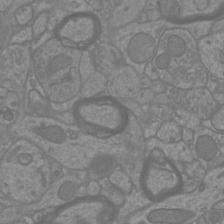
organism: Mouse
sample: Cortical neurons